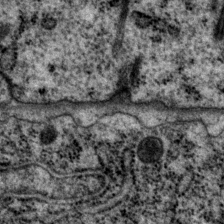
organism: P. pacificus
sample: Pharynx